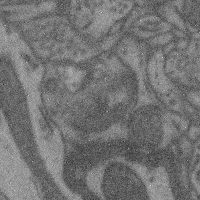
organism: Mouse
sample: Cerebral cortex